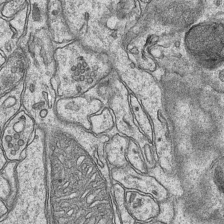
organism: Mouse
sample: CA1 Hippocampus